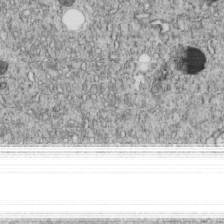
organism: C. elegans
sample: C. elegans embryo early stage